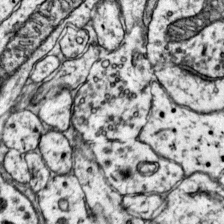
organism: Mouse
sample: Primary visual cortex